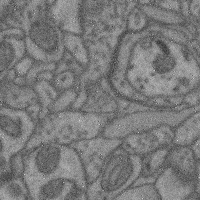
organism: Mouse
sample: Cerebral cortex